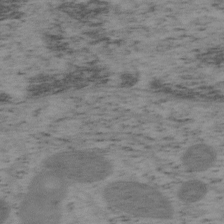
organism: Mouse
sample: OT-I killer T cells with ID8 ovarian cancer cells